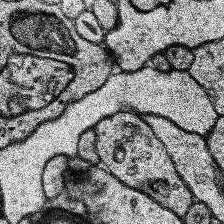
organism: Human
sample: Temporal Lobe